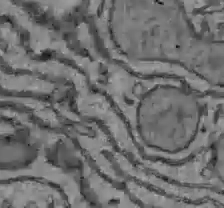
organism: C57BL Mouse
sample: Liver